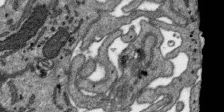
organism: Human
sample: Lung epithelial cells, uninfected (mock) control